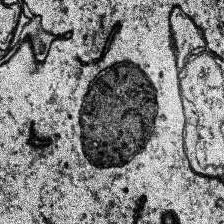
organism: Human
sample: Temporal Lobe